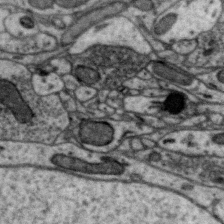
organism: Zebra finch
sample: Brain